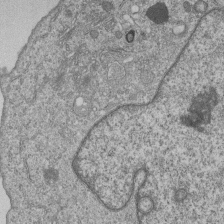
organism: Human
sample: MDA-MB-231 cells